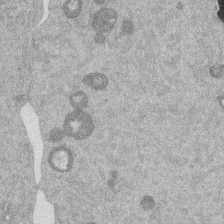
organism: Mouse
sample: Dividing mouse embryo 1 cell stage